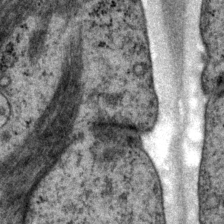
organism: P. pacificus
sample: Pharynx